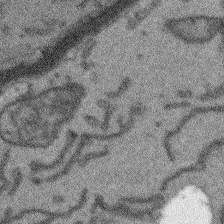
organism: Arabidopsis thaliana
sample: Root tip